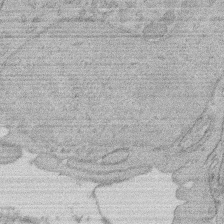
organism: Rat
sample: Salivary granule